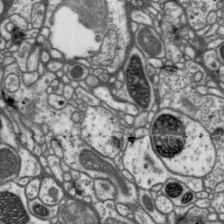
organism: Drosophila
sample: Protocerebral bridge